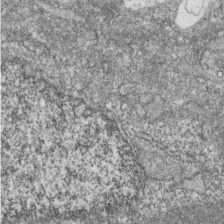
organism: Zebrafish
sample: Cilia; retinal pigment epithelium